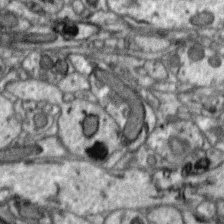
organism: Zebra finch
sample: Brain